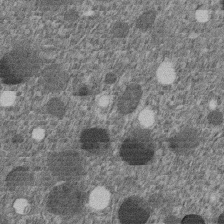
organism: C. elegans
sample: C. elegans embryo early stage